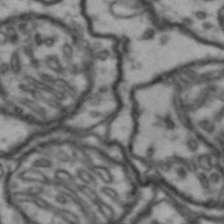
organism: Drosophila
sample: Brain